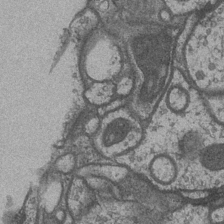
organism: Drosophila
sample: Optic medulla